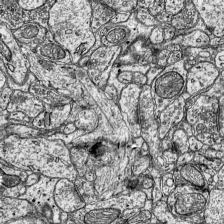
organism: Mouse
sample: Visual Cortex